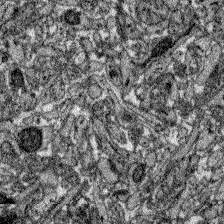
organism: Zebrafish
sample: Larval olfactory bulb